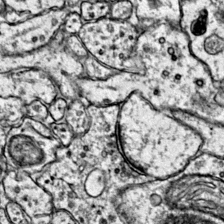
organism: Mouse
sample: Primary visual cortex